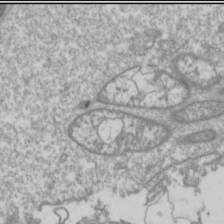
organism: Drosophila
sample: Cell division; meiosis; drosophila spermatocytes